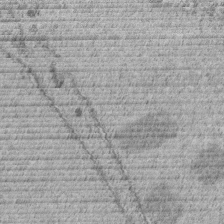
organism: C. elegans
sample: C. elegans embryo early stage